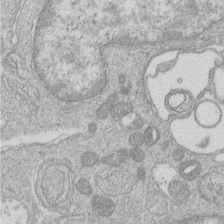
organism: Human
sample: Macrophage cells